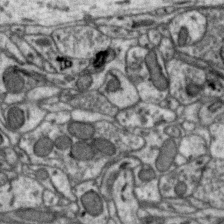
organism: Zebra finch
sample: Brain